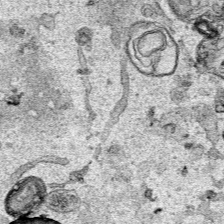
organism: Human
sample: Mitochondria in HCT116 cells